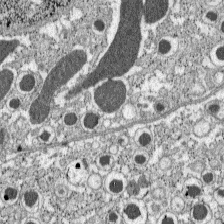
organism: C57BL Mouse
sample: Pancreatic islet